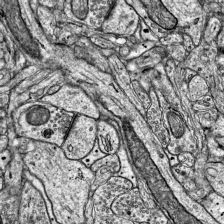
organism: Mouse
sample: Visual Cortex